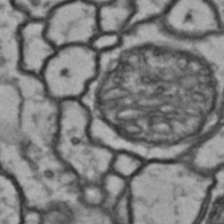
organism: Drosophila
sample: Brain